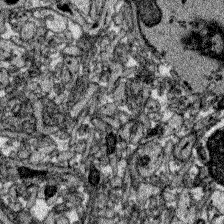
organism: Zebrafish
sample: Larval olfactory bulb